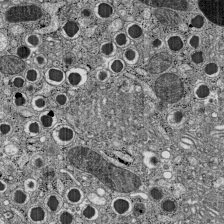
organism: C57BL Mouse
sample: Pancreatic islet